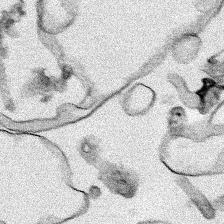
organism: Human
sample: Mitochondria in HCT116 cells